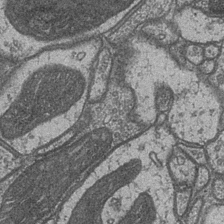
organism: Drosophila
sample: Optic medulla